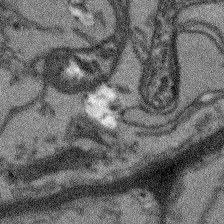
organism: Arabidopsis thaliana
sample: Root tip